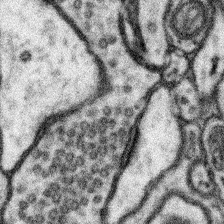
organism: Mouse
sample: Somatosensory cortex neuropil